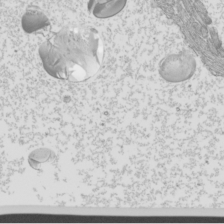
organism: Mouse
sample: Cilia; mouse epididymis